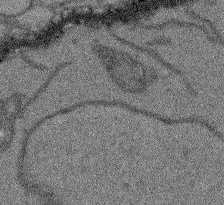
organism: Arabidopsis thaliana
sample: Root tip